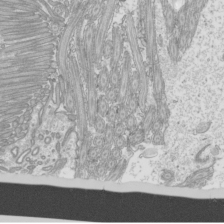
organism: Mouse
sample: Cilia; mouse epididymis